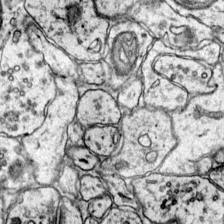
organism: Mouse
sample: Primary visual cortex